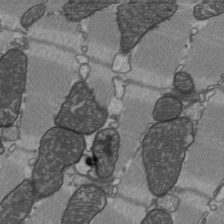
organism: C57BL Mouse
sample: Heart